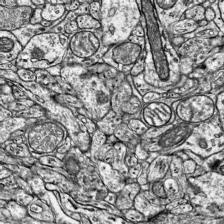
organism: Mouse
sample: Visual Cortex